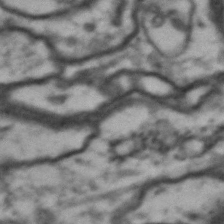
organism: Drosophila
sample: Brain